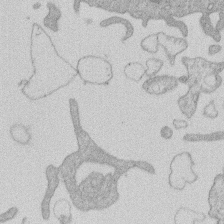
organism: Human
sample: Macrophage cells